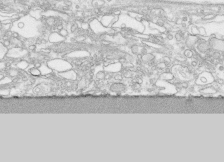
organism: Human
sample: CRL-1474